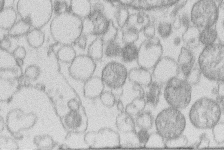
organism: Human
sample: Macrophage cells